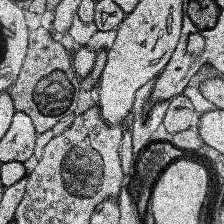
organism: Human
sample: Temporal Lobe